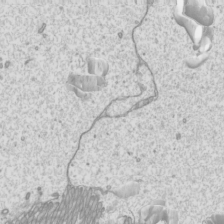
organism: Mouse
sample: Cilia; mouse epididymis